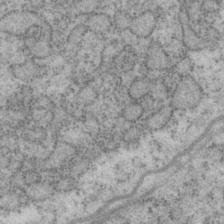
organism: P. pacificus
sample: Pharynx